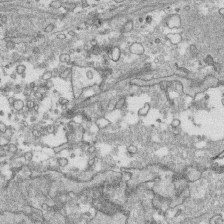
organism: Human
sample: CRL-1474